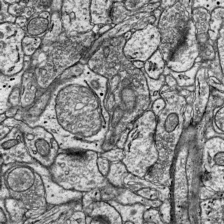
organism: Mouse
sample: Visual Cortex